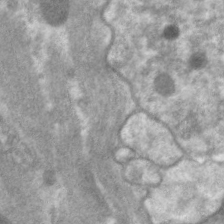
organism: C. elegans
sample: Pharynx